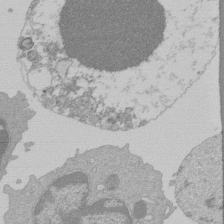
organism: Mouse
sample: Activated Pmel transgenic CD8+ T Cells